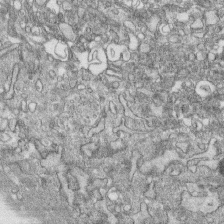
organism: Human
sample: CRL-1474